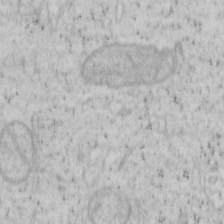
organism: Human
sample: HeLa cells